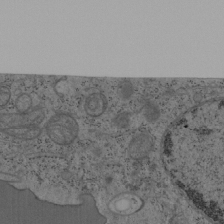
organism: Human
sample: HeLa cells